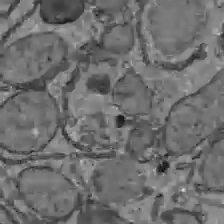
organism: C57BL Mouse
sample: Liver